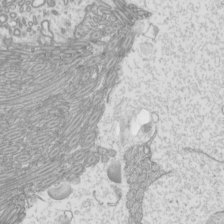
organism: Mouse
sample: Cilia; mouse epididymis